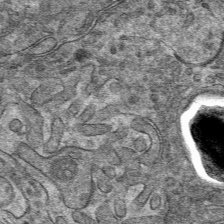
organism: Mouse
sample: Mouse hepatocytes